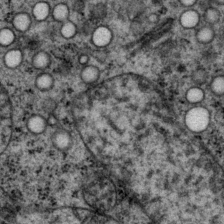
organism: P. pacificus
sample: Pharynx